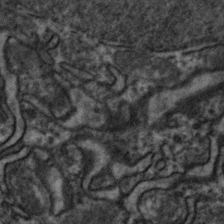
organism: Zebrafish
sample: Zebrafish embryo